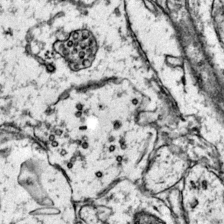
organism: Mouse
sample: Primary visual cortex